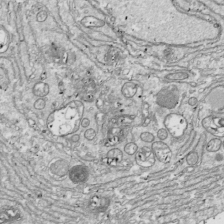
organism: Drosophila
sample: Cell division; meiosis; drosophila spermatocytes